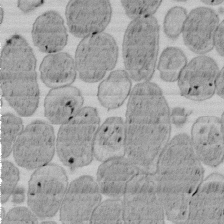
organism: E. coli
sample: Bacterial nucleoid